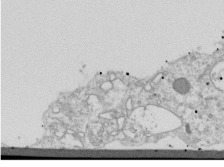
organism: Dictyostelium discoideum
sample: Dictyostelium multivesicular bodies